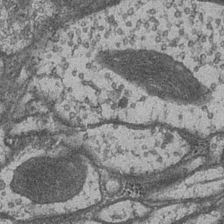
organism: Drosophila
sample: Optic medulla